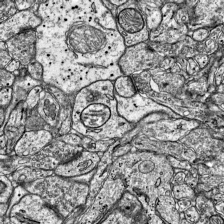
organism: Mouse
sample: Visual Cortex